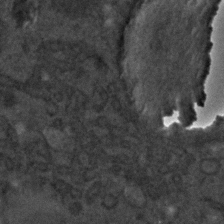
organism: C. elegans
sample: C. elegans embryo